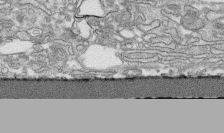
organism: Human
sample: CRL-1474